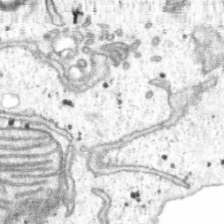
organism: Human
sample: HeLa cells